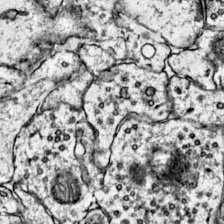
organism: Mouse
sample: Primary visual cortex